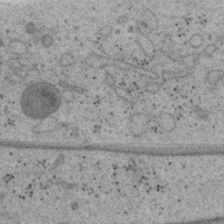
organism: Human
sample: HeLa cells